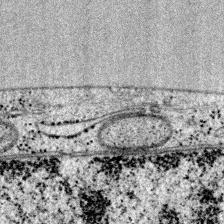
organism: Human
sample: HeLa cells